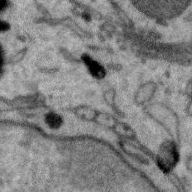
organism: Zebra finch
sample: Brain